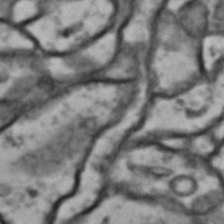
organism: Drosophila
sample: Brain